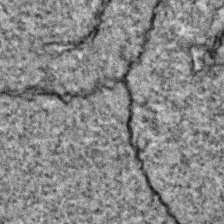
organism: Zebrafish